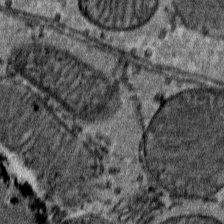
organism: Mouse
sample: Mouse Salivary gland